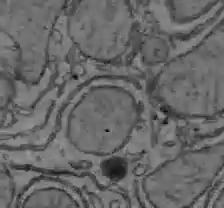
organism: C57BL Mouse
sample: Liver